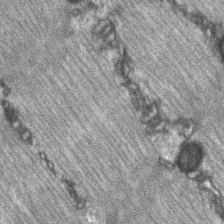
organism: C57BL Mouse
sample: Soleus